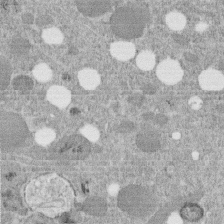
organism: C. elegans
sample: C. elegans embryo early stage